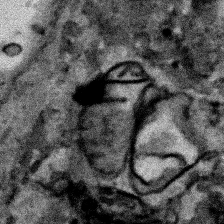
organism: Human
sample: Mitochondria in HCT116 cells